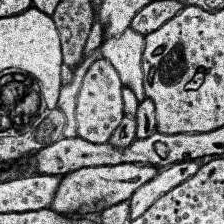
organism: Human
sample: Temporal Lobe